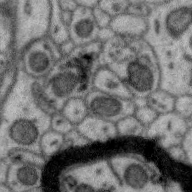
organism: Zebra finch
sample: Brain